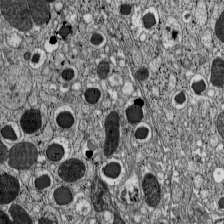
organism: C57BL Mouse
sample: Pancreatic islet